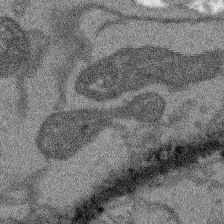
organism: Arabidopsis thaliana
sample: Root tip